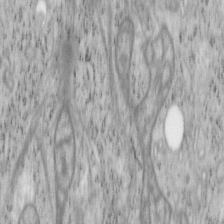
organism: Human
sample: HeLa cells